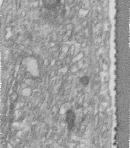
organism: Human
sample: Centriole in fibroblast cells